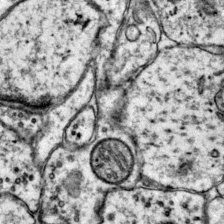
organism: Mouse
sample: Primary visual cortex